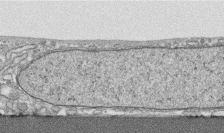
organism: Human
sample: CRL-1474